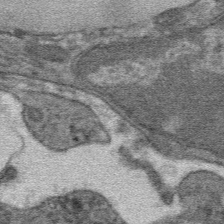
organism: Mouse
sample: Mouse hepatocytes